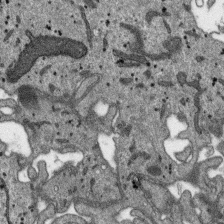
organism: Human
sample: Lung epithelial cells, uninfected (mock) control